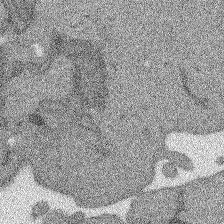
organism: Human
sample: HeLa cells